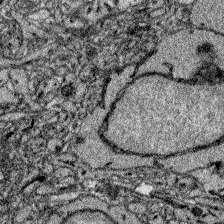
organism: Zebrafish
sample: Larval olfactory bulb